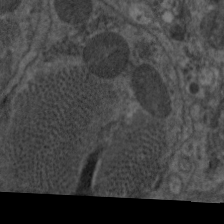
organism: C. elegans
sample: Pharynx